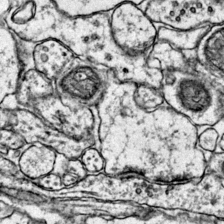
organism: Mouse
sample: Primary visual cortex